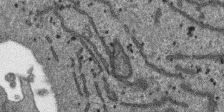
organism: Human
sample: Lung epithelial cells infected with SARS-CoV-2